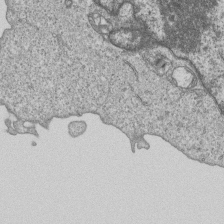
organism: Human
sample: MDA-MB-231 cells